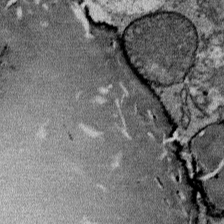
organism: Mouse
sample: Mouse Salivary gland